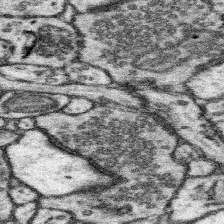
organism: Mouse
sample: Somatosensory cortex neuropil